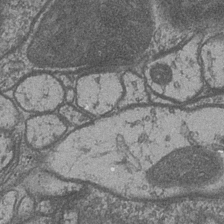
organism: Drosophila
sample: Optic medulla